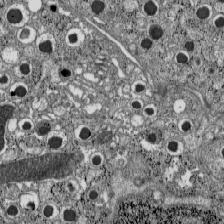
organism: C57BL Mouse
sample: Pancreatic islet